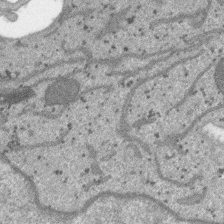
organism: Human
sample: Lung epithelial cells infected with SARS-CoV-2